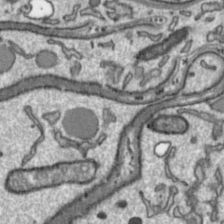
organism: Toxoplasma gondii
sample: Parasites in a vacuole inside a host cell